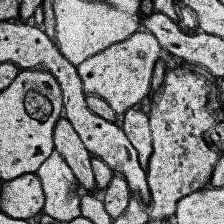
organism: Human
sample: Temporal Lobe